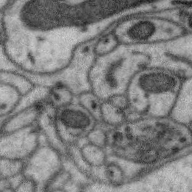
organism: Zebra finch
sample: Brain